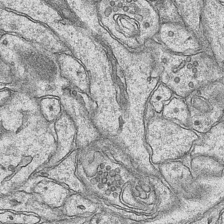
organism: Mouse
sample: CA1 Hippocampus